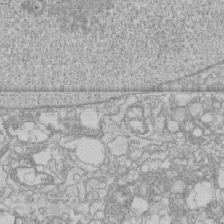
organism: Human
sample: CRL-1474